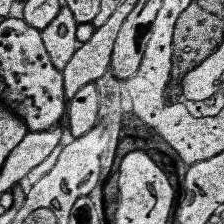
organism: Human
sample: Temporal Lobe